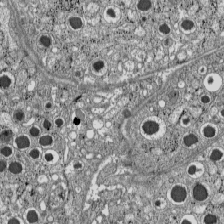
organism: C57BL Mouse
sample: Pancreatic islet